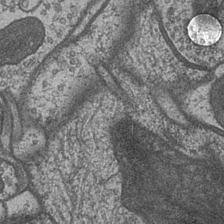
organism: Drosophila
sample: Optic medulla